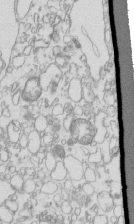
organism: Mouse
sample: Macrophages